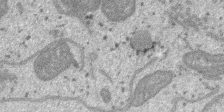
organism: Human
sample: Lung epithelial cells infected with SARS-CoV-2